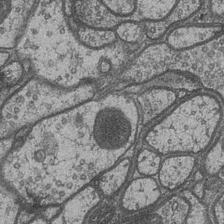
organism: Drosophila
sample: Optic medulla